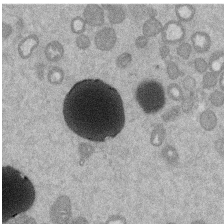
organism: Mouse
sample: Dividing mouse embryo 1 cell stage